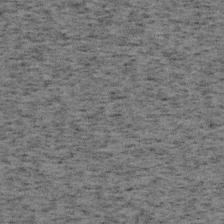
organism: Mouse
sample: OT-I killer T cells with ID8 ovarian cancer cells